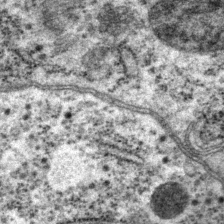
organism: P. pacificus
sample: Pharynx